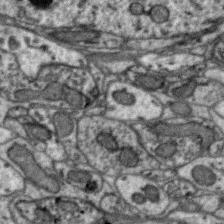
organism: Zebra finch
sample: Brain